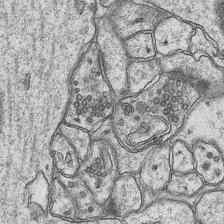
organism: Mouse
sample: CA1 Hippocampus